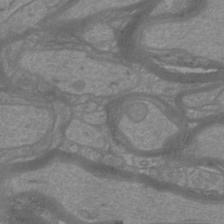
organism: Mouse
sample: Cortical neurons